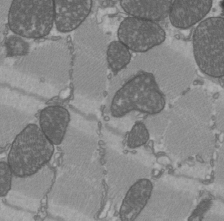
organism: C57BL Mouse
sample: Heart